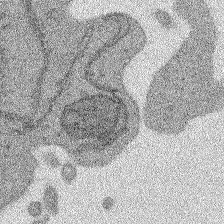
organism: Human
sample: HeLa cells